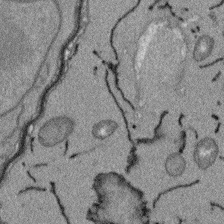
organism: Arabidopsis thaliana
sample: Root tip